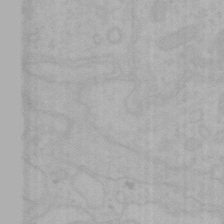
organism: Mouse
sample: Choroid plexus